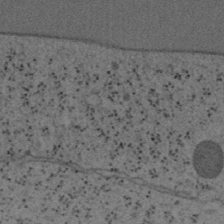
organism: Human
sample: HeLa cells